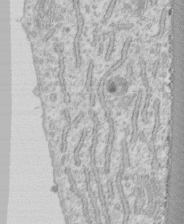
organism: Human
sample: CRL-1474